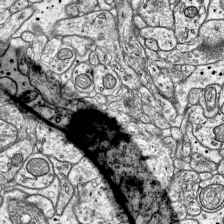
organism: Mouse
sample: Visual Cortex